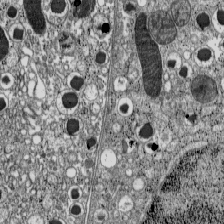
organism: C57BL Mouse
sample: Pancreatic islet